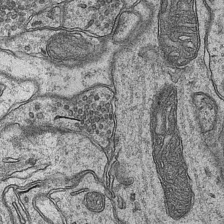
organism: Mouse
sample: CA1 Hippocampus